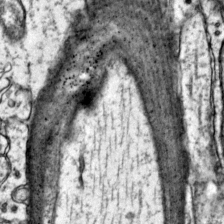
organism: Mouse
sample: Primary visual cortex